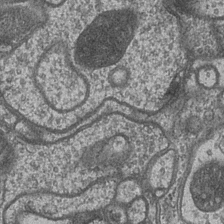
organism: Drosophila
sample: Optic medulla